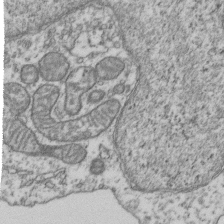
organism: Human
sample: Activated Jurkat CD4+ T cells